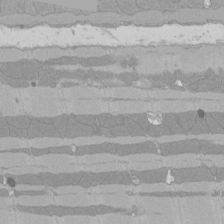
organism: Rat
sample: Left ventricle